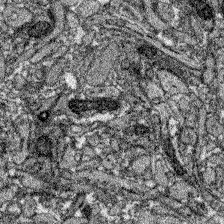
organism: Zebrafish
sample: Larval olfactory bulb